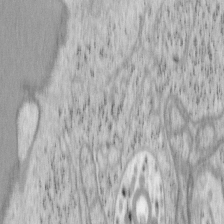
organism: Human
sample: HeLa cells